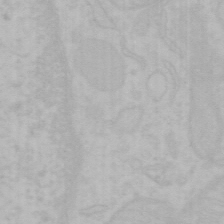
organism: Mouse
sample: Choroid plexus